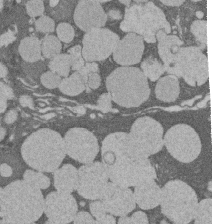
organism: Rat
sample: Salivary granule